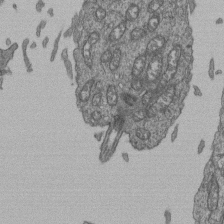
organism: Human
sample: Retinal organoid Rod and Cone cells